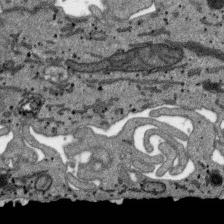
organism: Human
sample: Lung epithelial cells, uninfected (mock) control